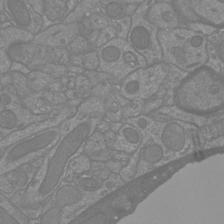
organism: Mouse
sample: Cortical neurons